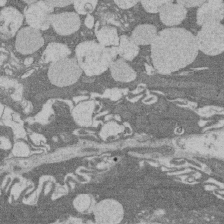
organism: Rat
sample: Salivary granule